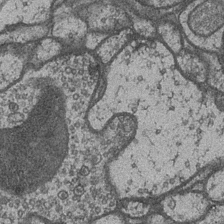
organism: Drosophila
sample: Optic medulla